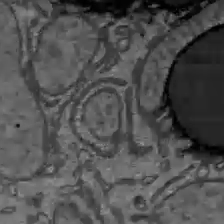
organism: C57BL Mouse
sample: Liver